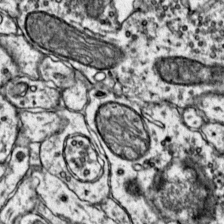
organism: Mouse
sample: Primary visual cortex